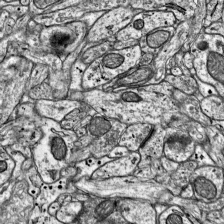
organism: Mouse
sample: Visual Cortex